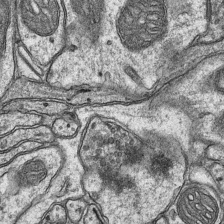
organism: Mouse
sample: CA1 Hippocampus